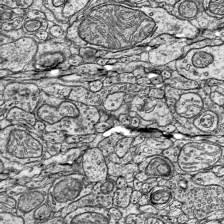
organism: Mouse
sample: Visual Cortex